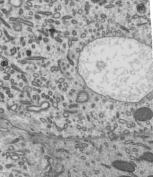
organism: Mouse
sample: Mouse epididymis efferent ductule cilia